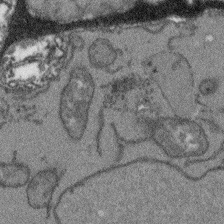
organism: Arabidopsis thaliana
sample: Root tip